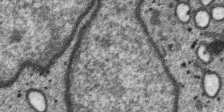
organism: Human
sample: Lung epithelial cells infected with SARS-CoV-2